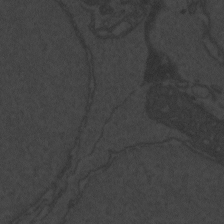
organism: Zebrafish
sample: Macrophage infected with Toxoplasma gondii